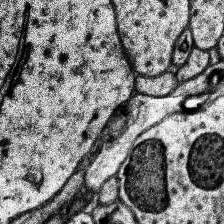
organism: Human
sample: Temporal Lobe